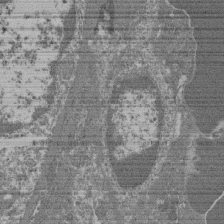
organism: Mouse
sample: Glomerulus